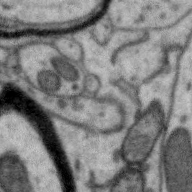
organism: Zebra finch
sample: Brain